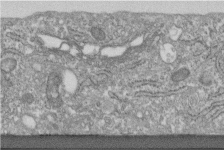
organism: Human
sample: Centriole in fibroblast cells